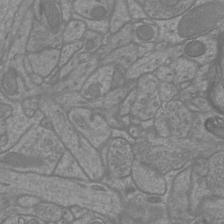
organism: Mouse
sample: Cortical neurons